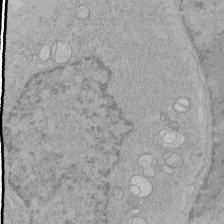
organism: Human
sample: Mitochondria in HCT116 cells